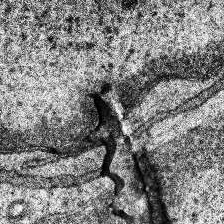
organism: Human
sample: Temporal Lobe